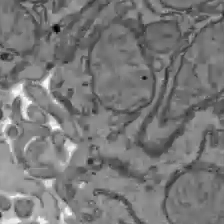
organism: C57BL Mouse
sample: Liver